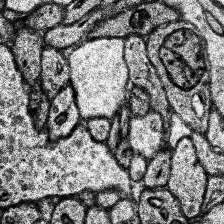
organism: Human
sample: Temporal Lobe